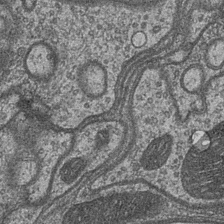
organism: Drosophila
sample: Optic medulla